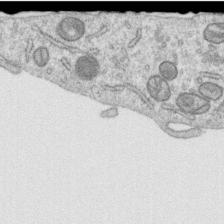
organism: Human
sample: Centriole in RPE cells